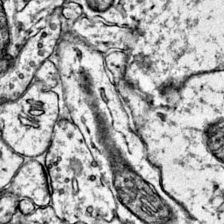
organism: Mouse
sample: Primary visual cortex